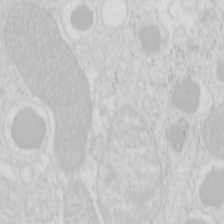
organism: Mouse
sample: Pancreas